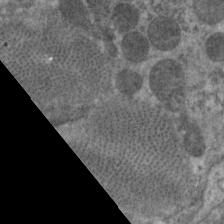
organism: C. elegans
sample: Pharynx